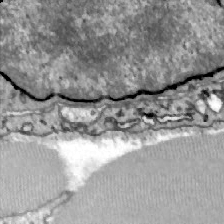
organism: Zebrafish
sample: Actinotrichia fibers